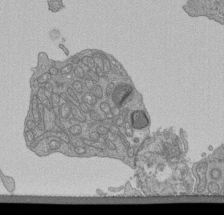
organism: Human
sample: Retinal organoid Rod and Cone cells